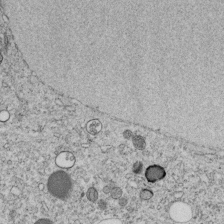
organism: C. elegans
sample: C. elegans embryo early stage